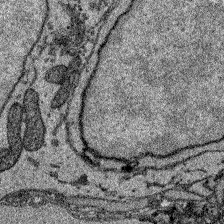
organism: Zebrafish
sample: Larval olfactory bulb